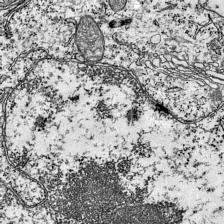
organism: Mouse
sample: Visual Cortex